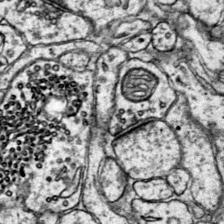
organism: Mouse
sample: Primary visual cortex